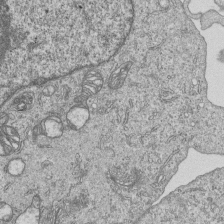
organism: Human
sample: MDA-MB-231 cells